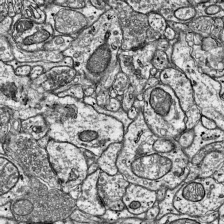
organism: Mouse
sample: Visual Cortex